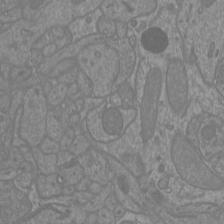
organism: Mouse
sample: Cortical neurons